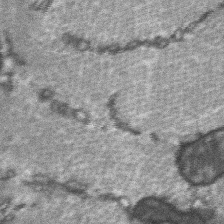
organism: C57BL Mouse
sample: Soleus